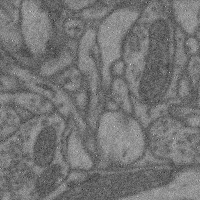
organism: Mouse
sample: Cerebral cortex